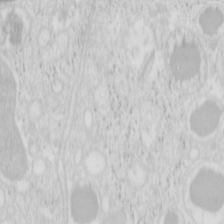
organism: Mouse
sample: Pancreas